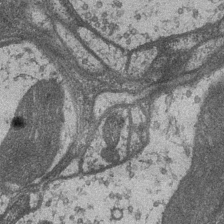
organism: Drosophila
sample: Optic medulla